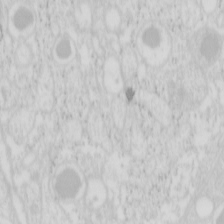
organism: Mouse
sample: Pancreas